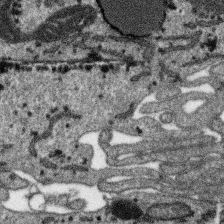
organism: Human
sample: Lung epithelial cells infected with SARS-CoV-2